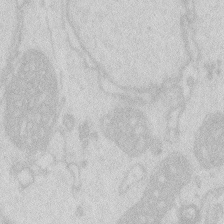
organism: Zebrafish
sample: Macrophage